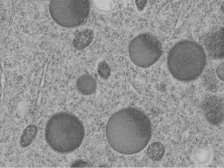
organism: C. elegans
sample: C. elegans embryo early stage